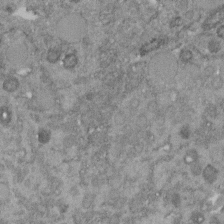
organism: C. elegans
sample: C. elegans embryo early stage